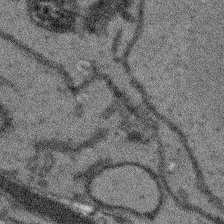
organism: Arabidopsis thaliana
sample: Root tip